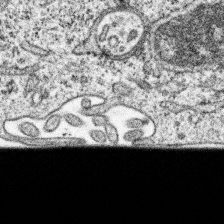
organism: Human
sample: HeLa cells